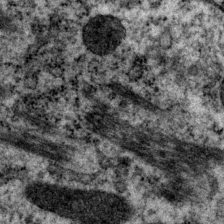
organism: P. pacificus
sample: Pharynx